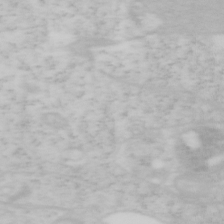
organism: Mouse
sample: OT-I killer T cells with ID8 ovarian cancer cells